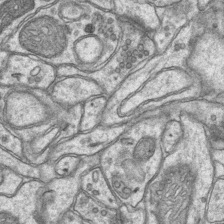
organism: Mouse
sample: CA1 Hippocampus